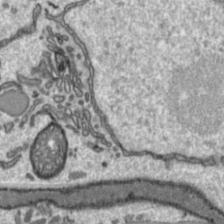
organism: Toxoplasma gondii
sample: Parasites in a vacuole inside a host cell